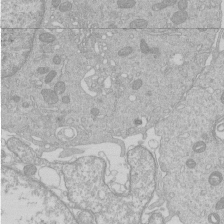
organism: Human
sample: Macrophage cells